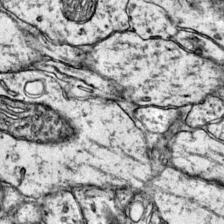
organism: Mouse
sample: Primary visual cortex